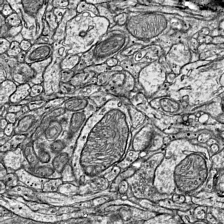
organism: Mouse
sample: Visual Cortex